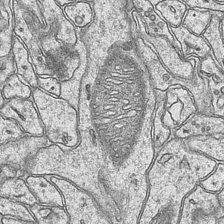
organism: Mouse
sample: CA1 Hippocampus